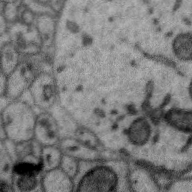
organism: Zebra finch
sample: Brain